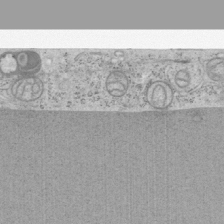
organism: Human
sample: HeLa cells